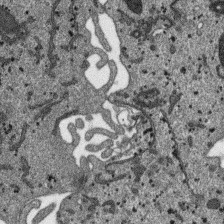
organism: Human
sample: Lung epithelial cells infected with SARS-CoV-2